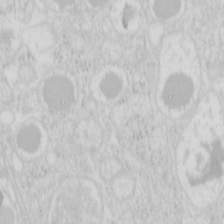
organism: Mouse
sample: Pancreas